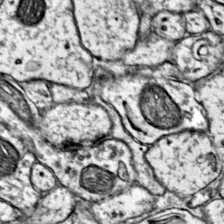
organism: Mouse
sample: Primary visual cortex